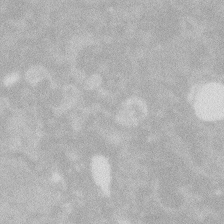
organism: Zebrafish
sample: Macrophage